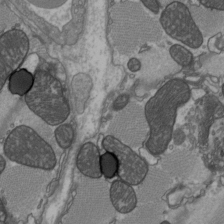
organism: C57BL Mouse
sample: Heart